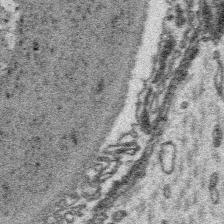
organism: Platynereis dumerilii